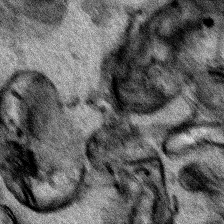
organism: Human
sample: Mitochondria in HCT116 cells